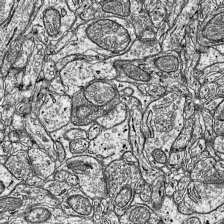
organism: Mouse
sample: Visual Cortex